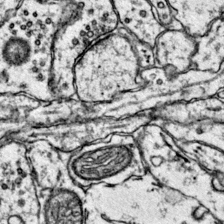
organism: Mouse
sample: Primary visual cortex